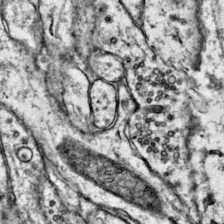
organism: Mouse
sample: Primary visual cortex